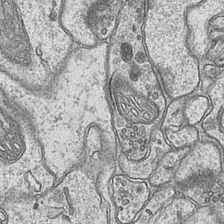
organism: Mouse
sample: CA1 Hippocampus